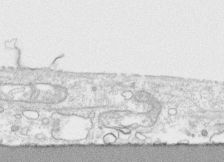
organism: Human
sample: CRL-1474